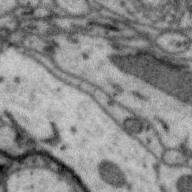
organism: Zebra finch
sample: Brain